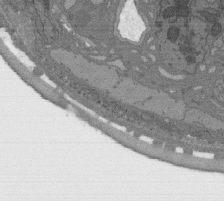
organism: C. elegans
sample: AFD neurons C. elegans